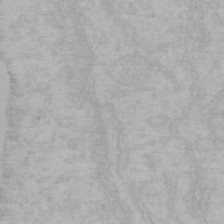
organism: Mouse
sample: Choroid plexus